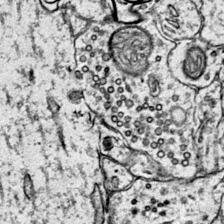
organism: Mouse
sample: Primary visual cortex